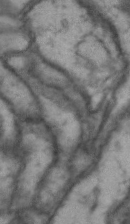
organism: Drosophila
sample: Brain